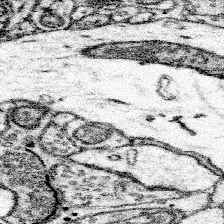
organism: Mouse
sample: Somatosensory cortex neuropil